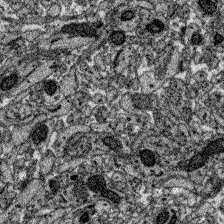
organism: Zebrafish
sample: Larval olfactory bulb